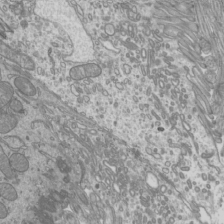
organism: Mouse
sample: Cilia; mouse epididymis